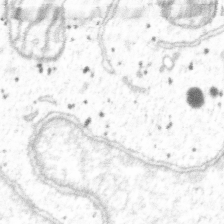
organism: Human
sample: HeLa cells